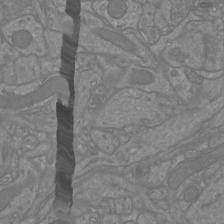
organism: Mouse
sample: Cortical neurons